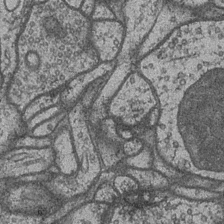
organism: Drosophila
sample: Optic medulla